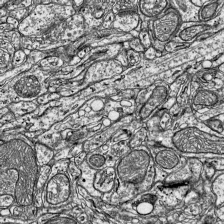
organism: Mouse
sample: Visual Cortex